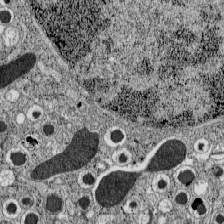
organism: C57BL Mouse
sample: Pancreatic islet